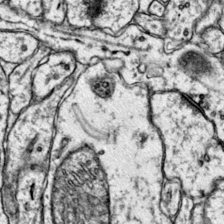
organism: Mouse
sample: Primary visual cortex